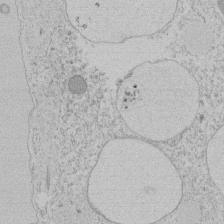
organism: Tetrahymena